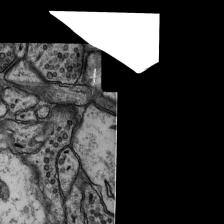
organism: Rat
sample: Hippocampus